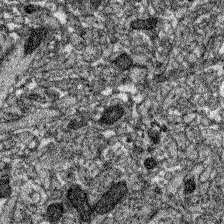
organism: Zebrafish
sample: Larval olfactory bulb